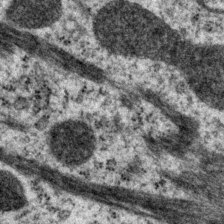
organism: P. pacificus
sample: Pharynx